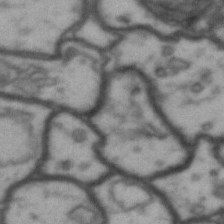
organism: Drosophila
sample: Brain